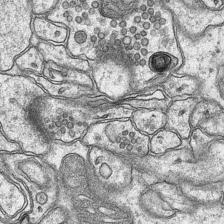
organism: Mouse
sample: CA1 Hippocampus